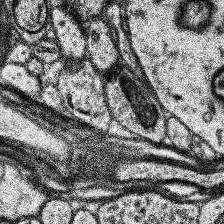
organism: Human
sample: Temporal Lobe